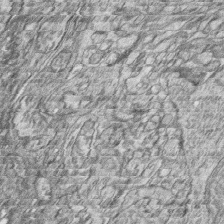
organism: Zebrafish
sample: synaptic ribbons in rod cells and cone cells